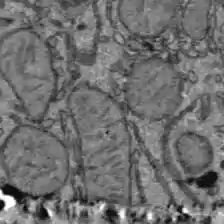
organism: C57BL Mouse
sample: Liver